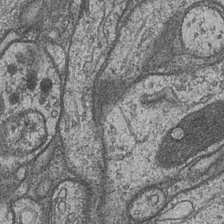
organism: Drosophila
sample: Optic medulla